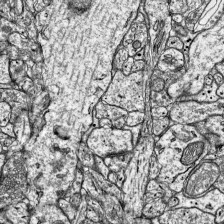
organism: Mouse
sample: Visual Cortex